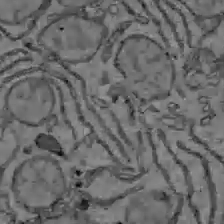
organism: C57BL Mouse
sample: Liver